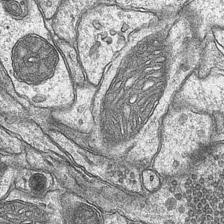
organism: Mouse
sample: CA1 Hippocampus